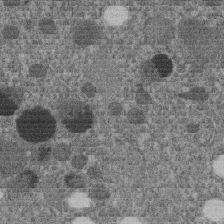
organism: C. elegans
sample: C. elegans embryo early stage